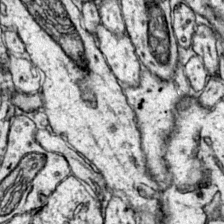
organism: Mouse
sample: Primary visual cortex